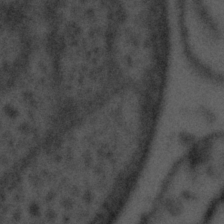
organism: Tuwongella immobilis